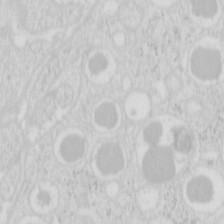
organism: Mouse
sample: Pancreas